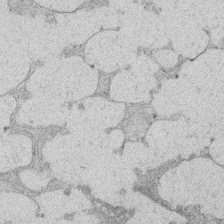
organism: Rat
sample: Salivary granule